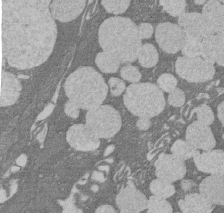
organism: Rat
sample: Salivary granule